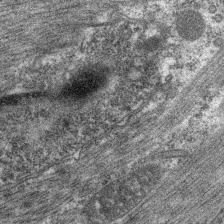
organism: C. elegans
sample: Pharynx